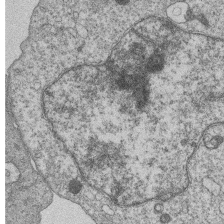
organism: Human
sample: MDA-MB-231 cells